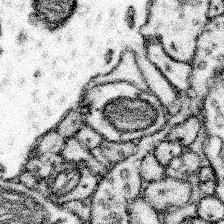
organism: Mouse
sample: Somatosensory cortex neuropil